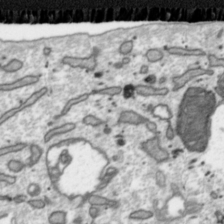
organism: Toxoplasma gondii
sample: Parasites in a vacuole inside a host cell